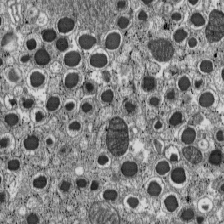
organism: C57BL Mouse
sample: Pancreatic islet